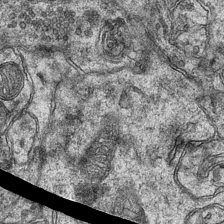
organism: Mouse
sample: CA1 Hippocampus